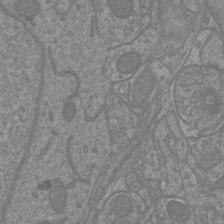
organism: Mouse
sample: Cortical neurons